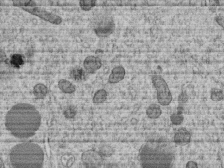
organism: C. elegans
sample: C. elegans embryo early stage